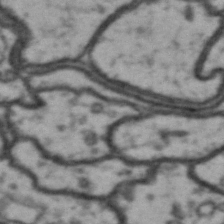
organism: Drosophila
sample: Brain